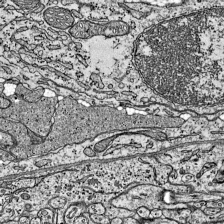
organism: Mouse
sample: Visual Cortex